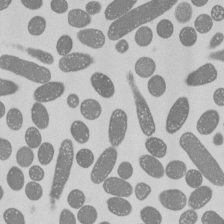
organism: E. coli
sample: Bacterial nucleoid